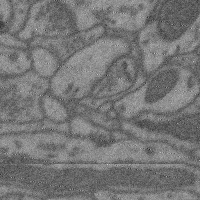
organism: Mouse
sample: Cerebral cortex